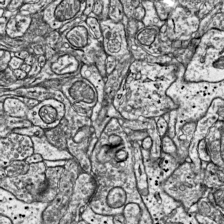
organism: Mouse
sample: Visual Cortex